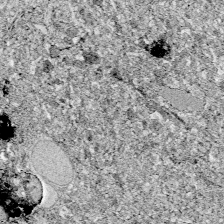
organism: Zebrafish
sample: Whole-Brain